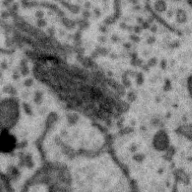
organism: Zebra finch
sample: Brain